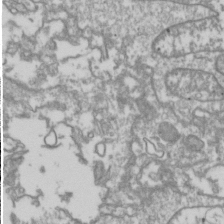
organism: Drosophila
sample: Cell division; meiosis; drosophila spermatocytes